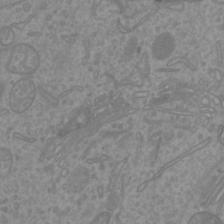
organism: Mouse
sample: Cortical neurons